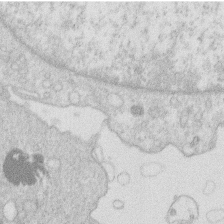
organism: Human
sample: Macrophage cells